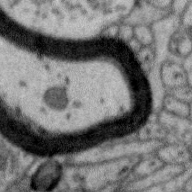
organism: Zebra finch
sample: Brain